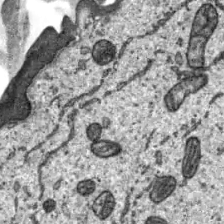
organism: Human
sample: HeLa cells